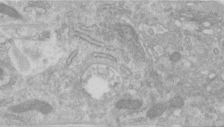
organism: Human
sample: Centriole in RPE cells